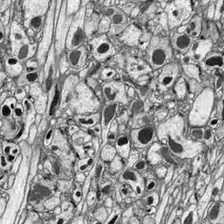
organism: Drosophila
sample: Optic lobe